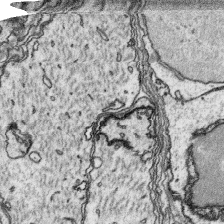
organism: Platynereis dumerilii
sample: Parapodia